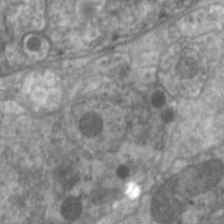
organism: C. elegans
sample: Pharynx